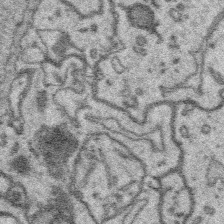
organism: Platynereis dumerilii